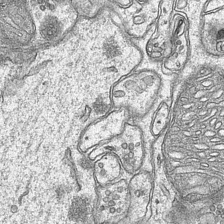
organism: Mouse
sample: CA1 Hippocampus